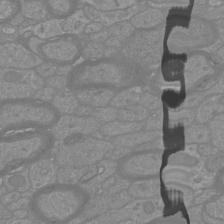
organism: Mouse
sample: Cortical neurons